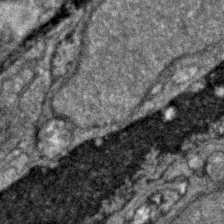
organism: Zebrafish